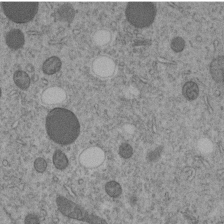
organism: C. elegans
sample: C. elegans embryo early stage